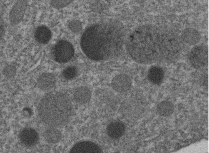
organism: C. elegans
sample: C. elegans embryo early stage